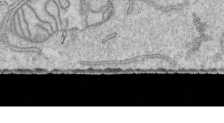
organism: Human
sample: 1205lu cells